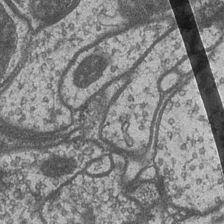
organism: Drosophila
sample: Optic medulla